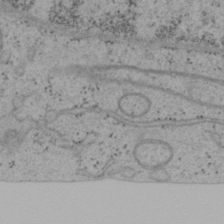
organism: Human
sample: HeLa cells